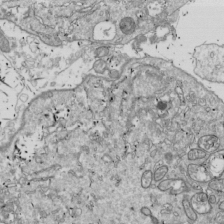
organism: Drosophila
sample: Cell division; meiosis; drosophila spermatocytes